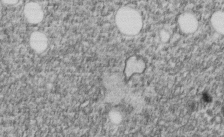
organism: C. elegans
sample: C. elegans embryo early stage